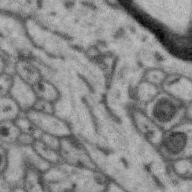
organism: Zebra finch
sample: Brain